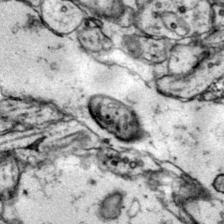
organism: Mouse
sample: Primary visual cortex